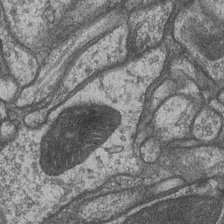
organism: Drosophila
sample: Optic medulla